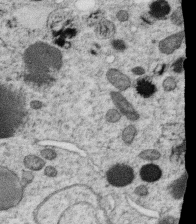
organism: C. elegans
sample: C. elegans oocyte; sperm cells